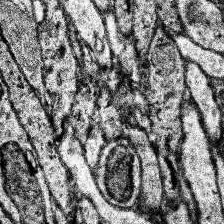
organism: Human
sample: Temporal Lobe